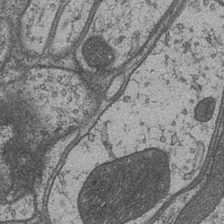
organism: Drosophila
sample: Optic medulla